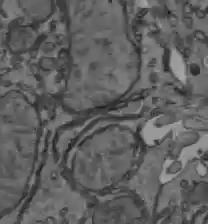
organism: C57BL Mouse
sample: Liver